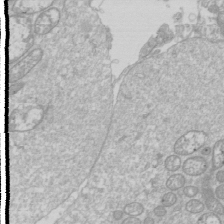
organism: Drosophila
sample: Cell division; meiosis; drosophila spermatocytes